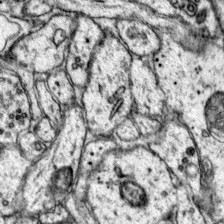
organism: Mouse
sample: Primary visual cortex